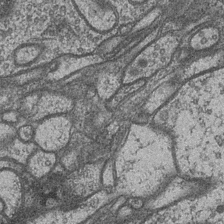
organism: Drosophila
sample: Optic medulla